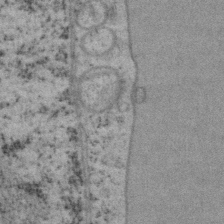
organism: Human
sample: HeLa cells